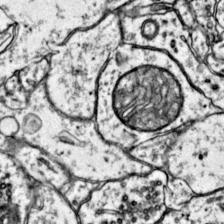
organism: Mouse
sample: Primary visual cortex